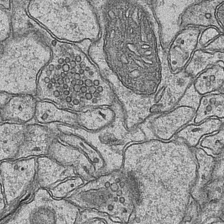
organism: Mouse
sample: CA1 Hippocampus